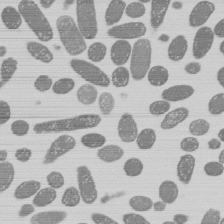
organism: E. coli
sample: Bacterial nucleoid